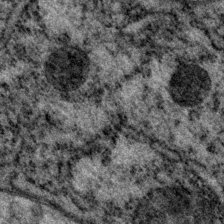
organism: P. pacificus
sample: Pharynx